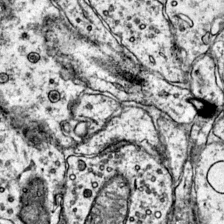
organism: Mouse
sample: Primary visual cortex